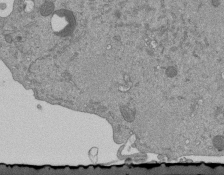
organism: Mouse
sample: ED-1 cell nuclei; centrioles